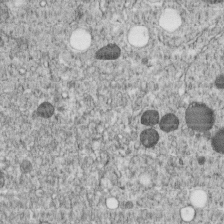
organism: C. elegans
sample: C. elegans embryo early stage